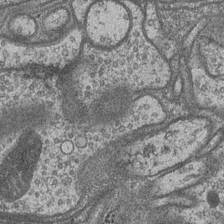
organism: Drosophila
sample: Optic medulla